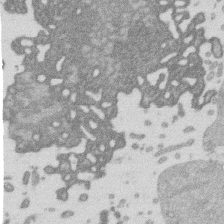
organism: Mouse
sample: Dividing mouse embryo 1 cell stage